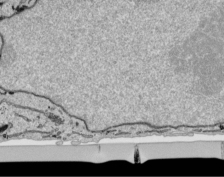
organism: Human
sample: Mitochondria in HCT116 cells